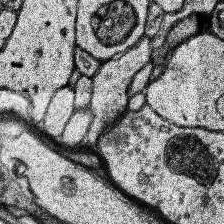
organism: Human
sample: Temporal Lobe